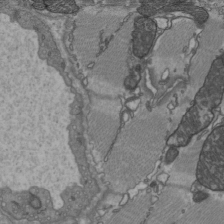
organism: C57BL Mouse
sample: Heart